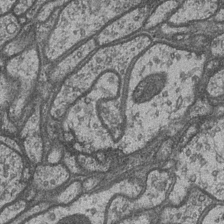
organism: Drosophila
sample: Optic medulla